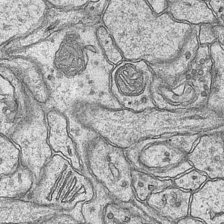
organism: Mouse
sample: CA1 Hippocampus